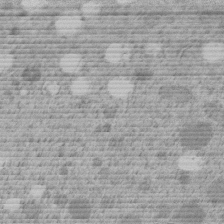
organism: C. elegans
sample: C. elegans embryo early stage